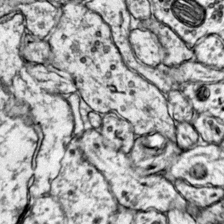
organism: Mouse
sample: Primary visual cortex